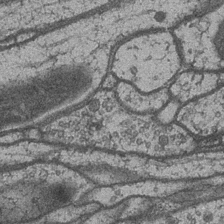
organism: Drosophila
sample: Optic medulla